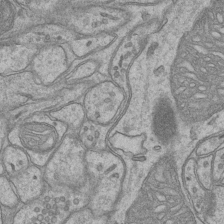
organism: Mouse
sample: CA1 Hippocampus